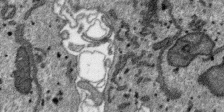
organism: Human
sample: Lung epithelial cells, uninfected (mock) control